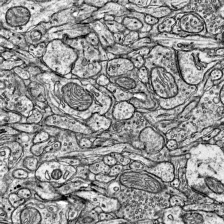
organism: Mouse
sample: Visual Cortex